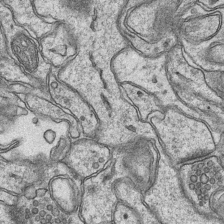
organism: Mouse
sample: CA1 Hippocampus